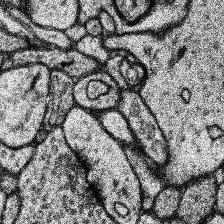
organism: Human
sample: Temporal Lobe